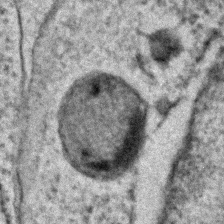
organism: C. elegans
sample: C. elegans embryo